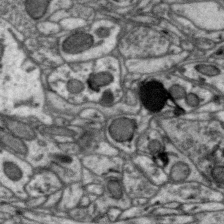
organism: Zebra finch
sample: Brain